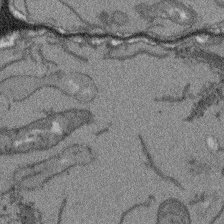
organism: Arabidopsis thaliana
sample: Root tip